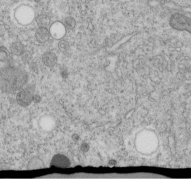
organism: C. elegans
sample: C. elegans embryo early stage